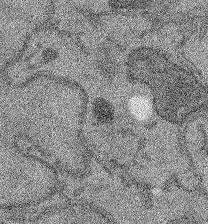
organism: Human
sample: HeLa cells